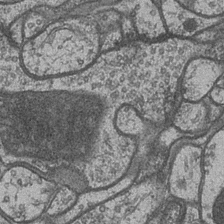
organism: Drosophila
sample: Optic medulla